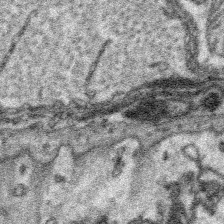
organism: Platynereis dumerilii